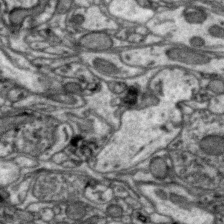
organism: Zebra finch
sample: Brain